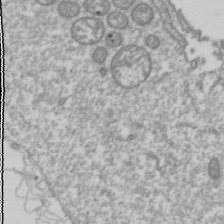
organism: Drosophila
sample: Cell division; meiosis; drosophila spermatocytes